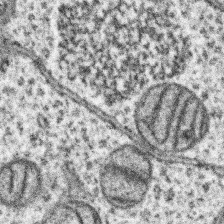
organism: Human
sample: HeLa cells